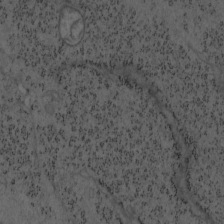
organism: Mouse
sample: OT-I killer T cells with ID8 ovarian cancer cells